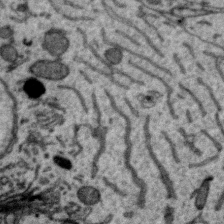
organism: Zebra finch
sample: Brain